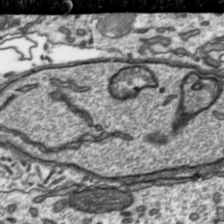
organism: Toxoplasma gondii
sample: Parasites in a vacuole inside a host cell